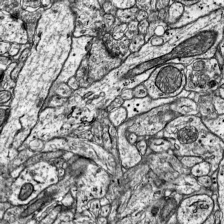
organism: Mouse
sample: Visual Cortex